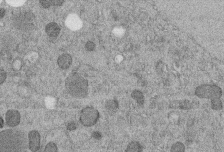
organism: C. elegans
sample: C. elegans embryo early stage